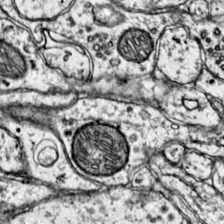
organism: Mouse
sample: Primary visual cortex